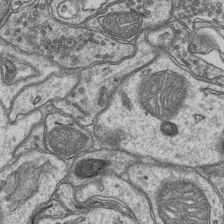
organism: Mouse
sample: CA1 Hippocampus